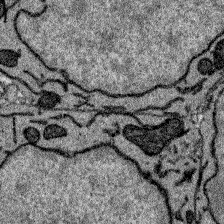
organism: Zebrafish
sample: Larval olfactory bulb